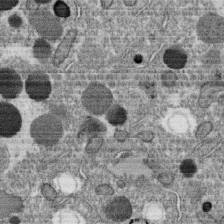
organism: C. elegans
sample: C. elegans oocyte; sperm cells